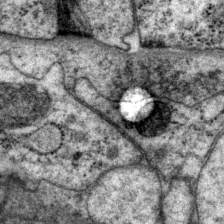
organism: P. pacificus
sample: Pharynx